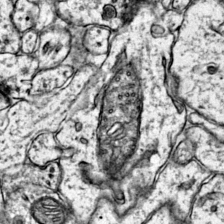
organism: Mouse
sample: Primary visual cortex